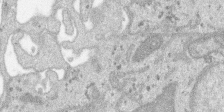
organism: Human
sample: Lung epithelial cells infected with SARS-CoV-2